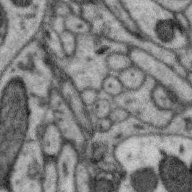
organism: Zebra finch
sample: Brain